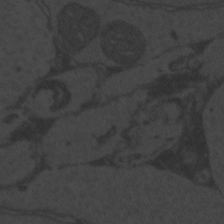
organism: Zebrafish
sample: Macrophage infected with Toxoplasma gondii